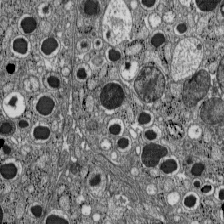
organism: C57BL Mouse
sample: Pancreatic islet